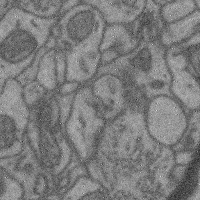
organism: Mouse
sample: Cerebral cortex